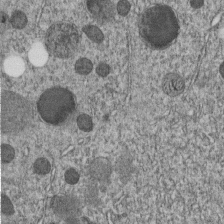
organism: C. elegans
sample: C. elegans embryo early stage